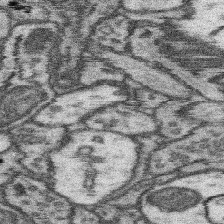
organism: Mouse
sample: Somatosensory cortex neuropil